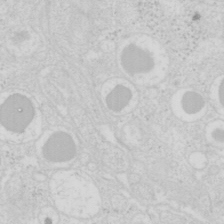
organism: Mouse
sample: Pancreas